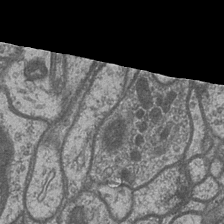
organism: Drosophila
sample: Optic medulla